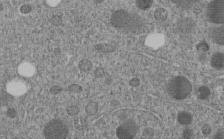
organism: C. elegans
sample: C. elegans embryo early stage